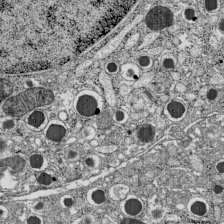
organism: C57BL Mouse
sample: Pancreatic islet